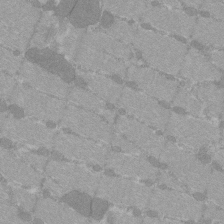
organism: C57BL Mouse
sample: Tibialis anterior muscle cell